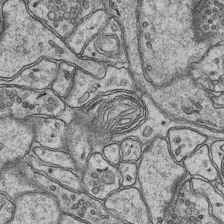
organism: Mouse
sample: CA1 Hippocampus